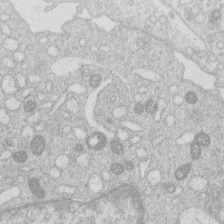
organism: Human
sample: Macrophage cells